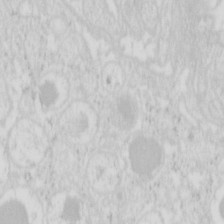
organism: Mouse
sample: Pancreas